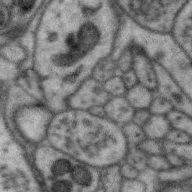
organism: Zebra finch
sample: Brain